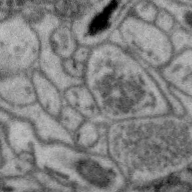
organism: Zebra finch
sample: Brain